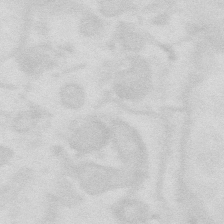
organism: Human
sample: HeLa cells